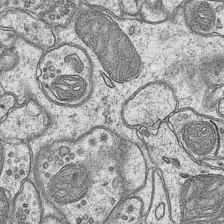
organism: Mouse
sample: CA1 Hippocampus